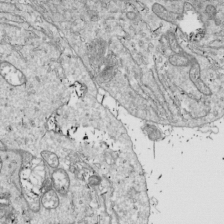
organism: Drosophila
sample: Cell division; meiosis; drosophila spermatocytes